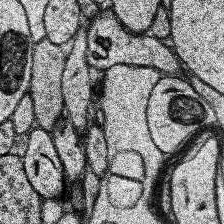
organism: Human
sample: Temporal Lobe